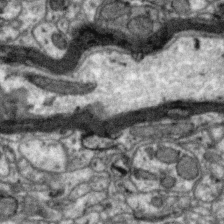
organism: Zebra finch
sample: Brain